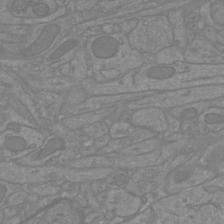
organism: Mouse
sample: Cortical neurons